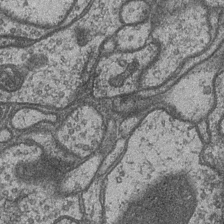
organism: Drosophila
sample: Optic medulla